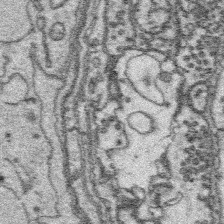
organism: Platynereis dumerilii